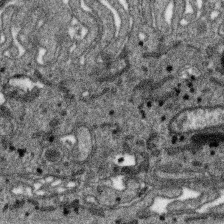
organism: Human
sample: Lung epithelial cells infected with SARS-CoV-2